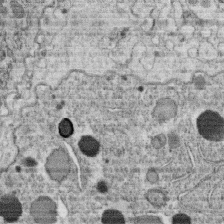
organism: C. elegans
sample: C. elegans oocyte; sperm cells